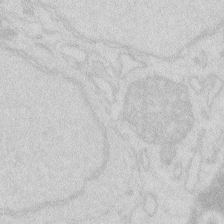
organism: Zebrafish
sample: Macrophage